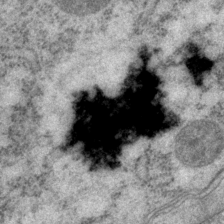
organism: P. pacificus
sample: Pharynx